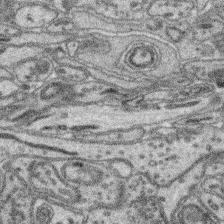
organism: Mouse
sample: Retina